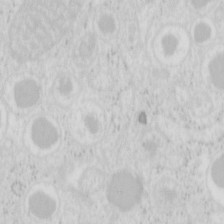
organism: Mouse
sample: Pancreas